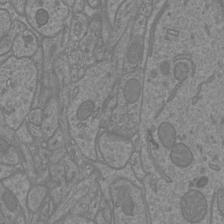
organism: Mouse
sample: Cortical neurons